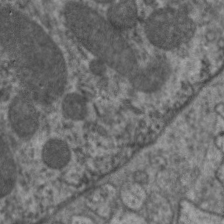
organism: C. elegans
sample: Pharynx